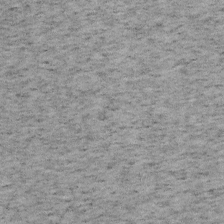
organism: Mouse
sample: OT-I killer T cells with ID8 ovarian cancer cells